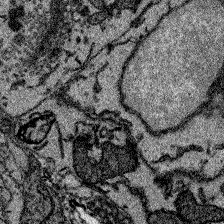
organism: Zebrafish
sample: Larval olfactory bulb